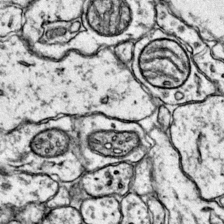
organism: Mouse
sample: Primary visual cortex